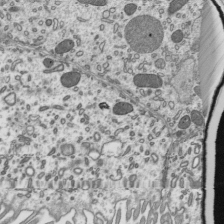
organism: Mouse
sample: Mouse epididymis efferent ductule cilia